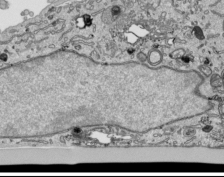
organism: Human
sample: Mitochondria in HCT116 cells